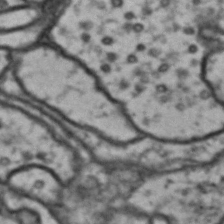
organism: Drosophila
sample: Brain